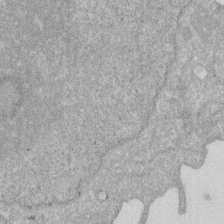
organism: Human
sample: HIV infected U937 cells